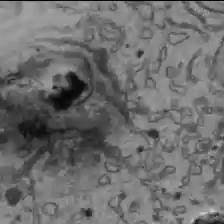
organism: C57BL Mouse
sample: Liver